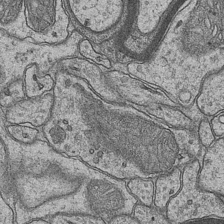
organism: Mouse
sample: CA1 Hippocampus